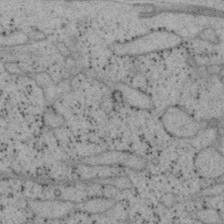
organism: Human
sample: HeLa cells